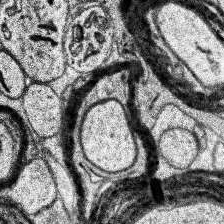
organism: Human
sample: Temporal Lobe